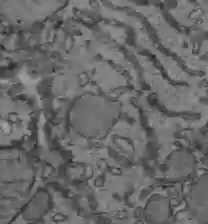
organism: C57BL Mouse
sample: Liver